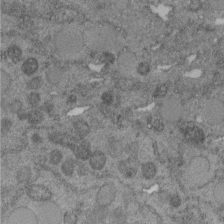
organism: C. elegans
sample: C. elegans embryo early stage